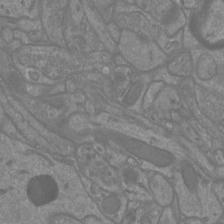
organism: Mouse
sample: Cortical neurons